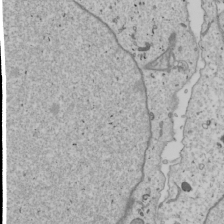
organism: Human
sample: Mitochondria in U2OS cells